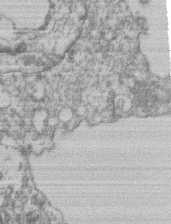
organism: Mouse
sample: T cell stromal cell synapse